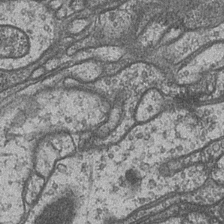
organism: Drosophila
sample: Optic medulla